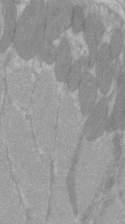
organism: C57BL Mouse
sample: Tibialis anterior muscle cell